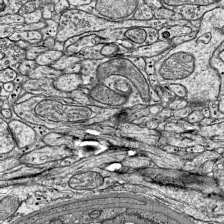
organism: Mouse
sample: Visual Cortex